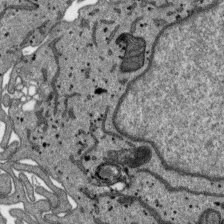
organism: Human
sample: Lung epithelial cells, uninfected (mock) control